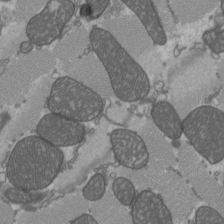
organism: C57BL Mouse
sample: Heart